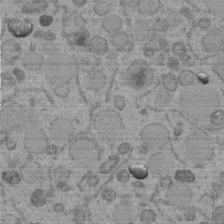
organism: C. elegans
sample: C. elegans embryo early stage